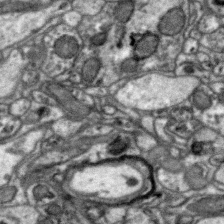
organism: Zebra finch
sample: Brain